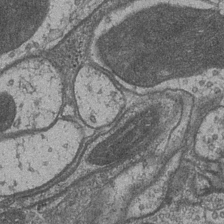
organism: Drosophila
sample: Optic medulla